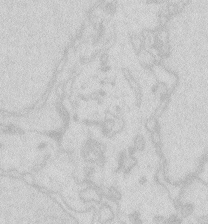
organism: Zebrafish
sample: Macrophage